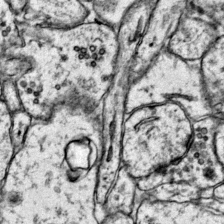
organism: Mouse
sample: Primary visual cortex